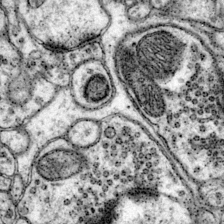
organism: Mouse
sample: Primary visual cortex